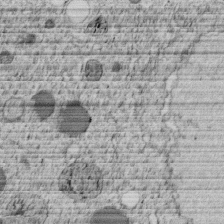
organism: C. elegans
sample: C. elegans embryo early stage